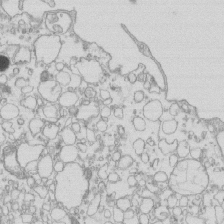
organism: Mouse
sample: Macrophages